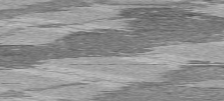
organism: C57BL Mouse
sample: Heart